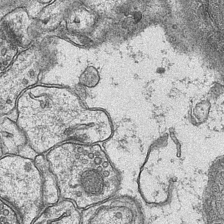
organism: Mouse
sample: CA1 Hippocampus